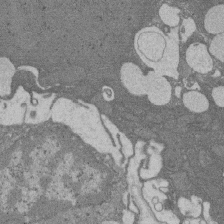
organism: Rat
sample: Salivary granule